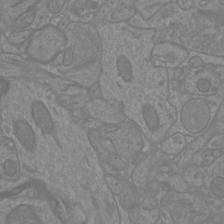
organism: Mouse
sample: Cortical neurons